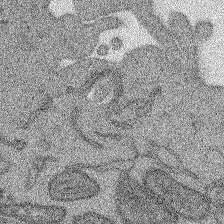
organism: Human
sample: HeLa cells